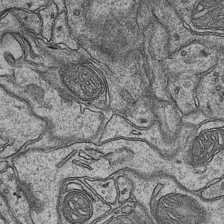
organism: Mouse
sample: CA1 Hippocampus